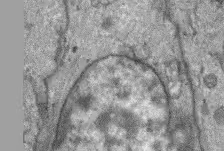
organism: Mouse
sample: Corneal nerves